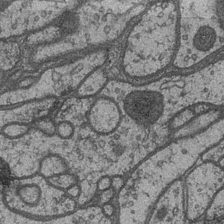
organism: Drosophila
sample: Optic medulla